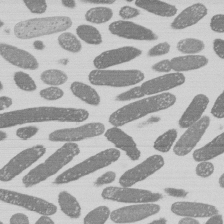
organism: E. coli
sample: Bacterial nucleoid